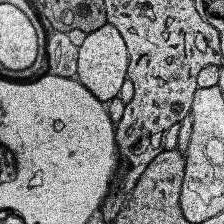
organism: Human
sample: Temporal Lobe